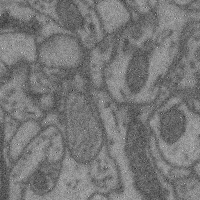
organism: Mouse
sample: Cerebral cortex